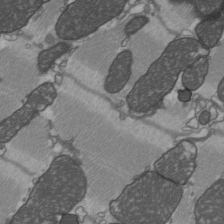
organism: C57BL Mouse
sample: Heart